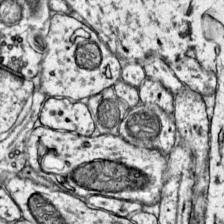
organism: Mouse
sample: Primary visual cortex